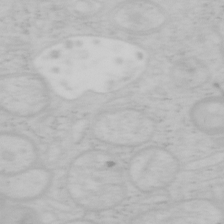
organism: Mouse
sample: OT-I killer T cells with ID8 ovarian cancer cells